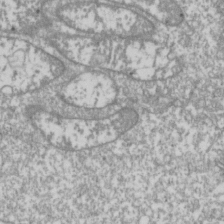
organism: Drosophila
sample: Cell division; meiosis; drosophila spermatocytes